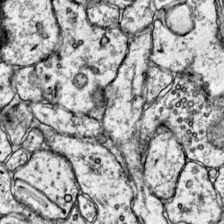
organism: Mouse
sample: Primary visual cortex